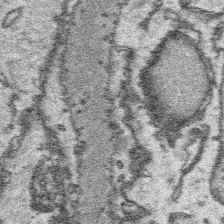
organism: Platynereis dumerilii